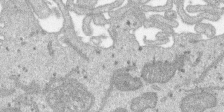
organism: Human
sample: Lung epithelial cells infected with SARS-CoV-2